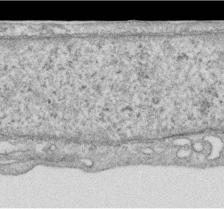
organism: Human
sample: Centriole in RPE cells